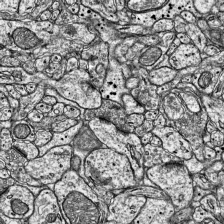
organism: Mouse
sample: Visual Cortex